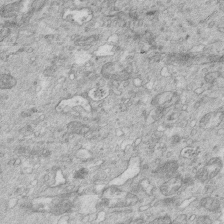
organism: Mouse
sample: Multiciliated cells